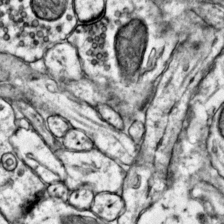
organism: Mouse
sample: Primary visual cortex